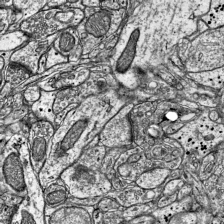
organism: Mouse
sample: Visual Cortex